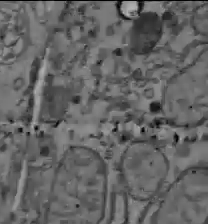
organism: C57BL Mouse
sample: Liver